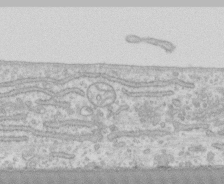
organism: Human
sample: CRL-1474